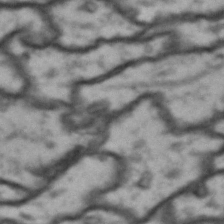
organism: Drosophila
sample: Brain